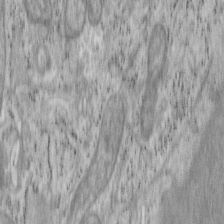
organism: Human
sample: HeLa cells